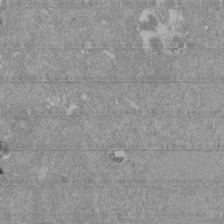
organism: Mouse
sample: ED-1 cell nuclei; centrioles